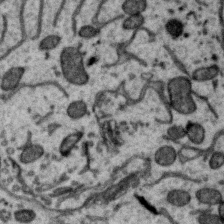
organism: Zebra finch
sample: Brain